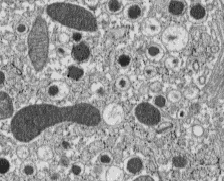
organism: C57BL Mouse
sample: Pancreatic islet